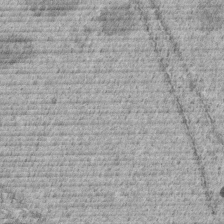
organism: C. elegans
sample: C. elegans embryo early stage